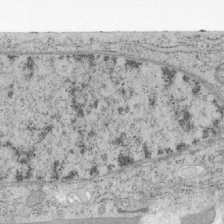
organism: Human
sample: HeLa cells